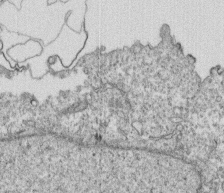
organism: Human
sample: HeLa cell HIV synapse